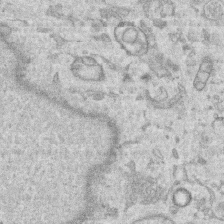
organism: Human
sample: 1205lu cells